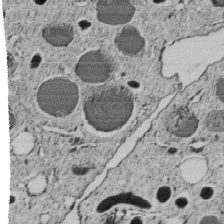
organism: C. elegans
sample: C. elegans embryo early stage